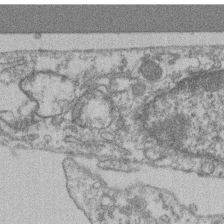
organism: Mouse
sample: T cell stromal cell synapse